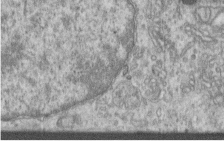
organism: Human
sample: Centriole in RPE cells